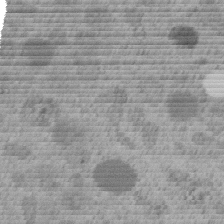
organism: C. elegans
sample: C. elegans embryo early stage